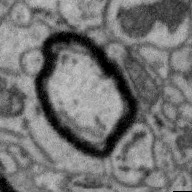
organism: Zebra finch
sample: Brain